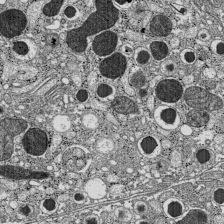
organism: C57BL Mouse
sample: Pancreatic islet